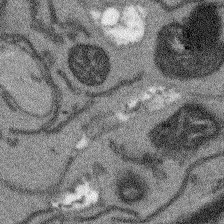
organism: Arabidopsis thaliana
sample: Root tip